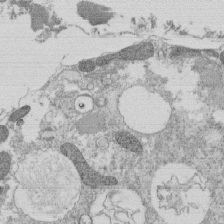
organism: Tetrahymena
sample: Cilia in tetrahymena